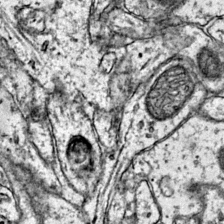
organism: Mouse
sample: Primary visual cortex